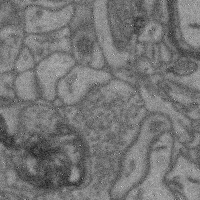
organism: Mouse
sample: Cerebral cortex